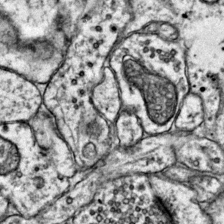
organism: Mouse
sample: Primary visual cortex